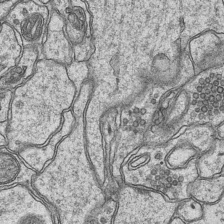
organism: Mouse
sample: CA1 Hippocampus